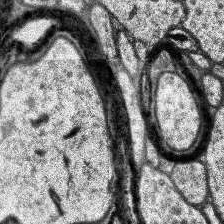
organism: Human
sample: Temporal Lobe